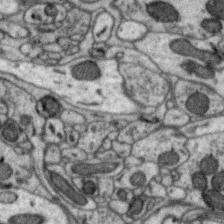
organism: Zebra finch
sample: Brain